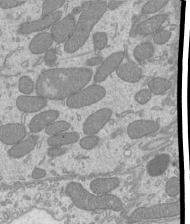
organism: Mouse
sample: Cilia; mouse epididymis